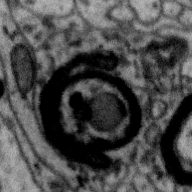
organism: Zebra finch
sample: Brain